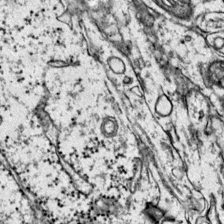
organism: Mouse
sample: Primary visual cortex